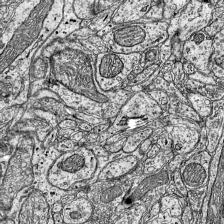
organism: Mouse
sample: Visual Cortex